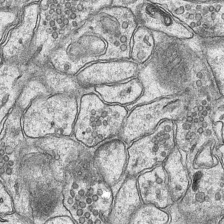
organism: Mouse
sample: CA1 Hippocampus